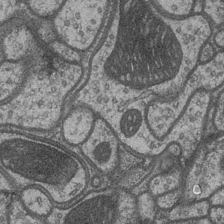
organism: Drosophila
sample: Optic medulla